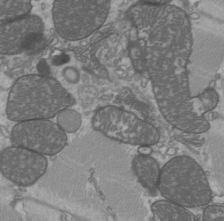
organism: C57BL Mouse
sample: Heart